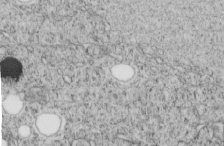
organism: C. elegans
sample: C. elegans embryo early stage